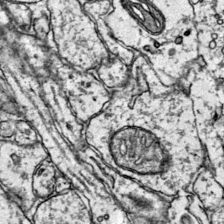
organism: Mouse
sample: Primary visual cortex